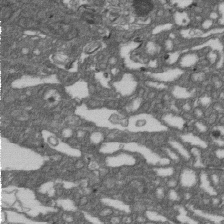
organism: Drosophila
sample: Nephrocyte